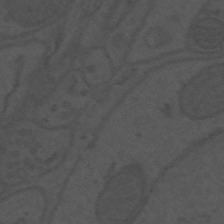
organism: Mouse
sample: Suprachiasmatic nucleus